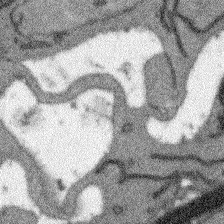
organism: Arabidopsis thaliana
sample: Root tip